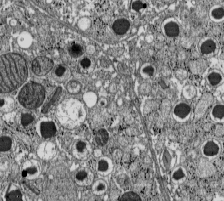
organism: C57BL Mouse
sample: Pancreatic islet